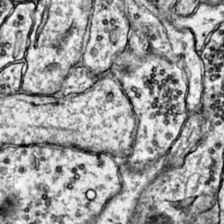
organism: Mouse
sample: Primary visual cortex